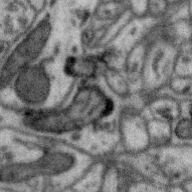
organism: Zebra finch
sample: Brain